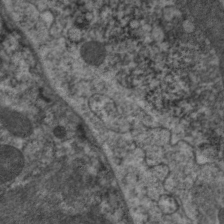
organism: C. elegans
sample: Pharynx